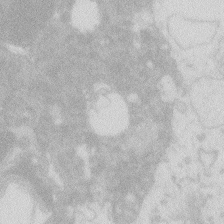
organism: Zebrafish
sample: Macrophage